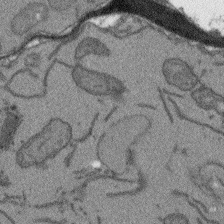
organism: Arabidopsis thaliana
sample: Root tip